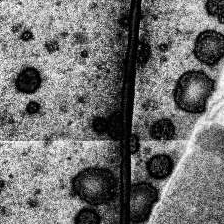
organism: Human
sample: Temporal Lobe